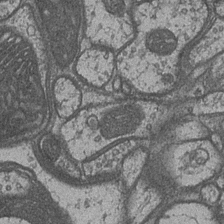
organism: Drosophila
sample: Optic medulla